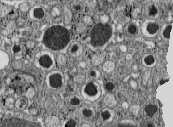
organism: C57BL Mouse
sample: Pancreatic islet